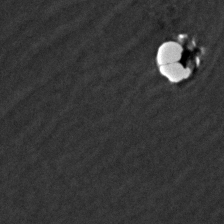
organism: Zebrafish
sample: Zebrafish embryo